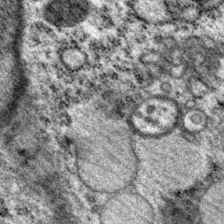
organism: P. pacificus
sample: Pharynx